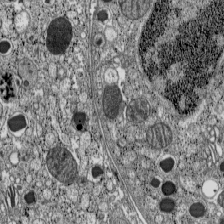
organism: C57BL Mouse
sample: Pancreatic islet